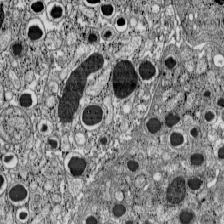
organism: C57BL Mouse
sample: Pancreatic islet